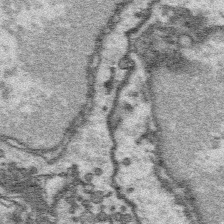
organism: Platynereis dumerilii